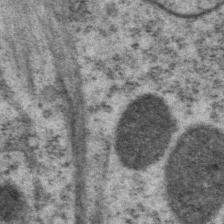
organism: P. pacificus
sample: Pharynx